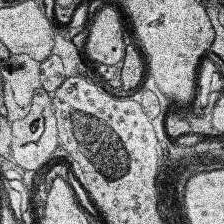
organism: Human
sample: Temporal Lobe